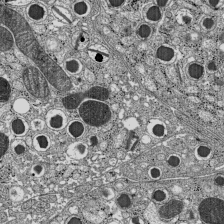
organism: C57BL Mouse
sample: Pancreatic islet